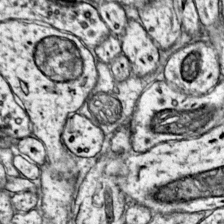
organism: Mouse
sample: Primary visual cortex